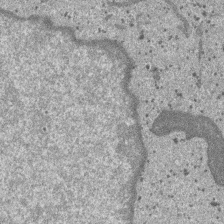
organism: Human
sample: Lung epithelial cells infected with SARS-CoV-2